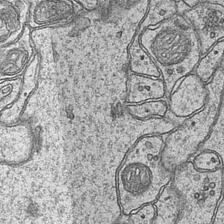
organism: Mouse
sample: CA1 Hippocampus